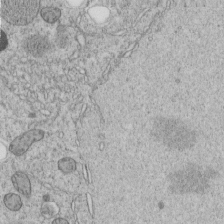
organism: C. elegans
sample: C. elegans embryo early stage